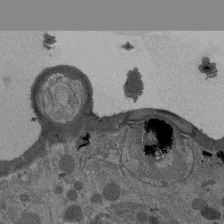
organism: Drosophila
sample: Antenna